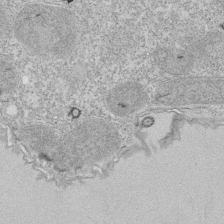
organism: Tetrahymena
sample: Cilia in tetrahymena